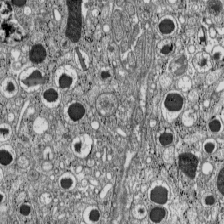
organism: C57BL Mouse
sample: Pancreatic islet